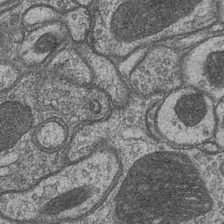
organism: Drosophila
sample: Optic medulla